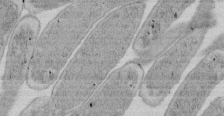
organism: E. coli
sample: Bacterial nucleoid